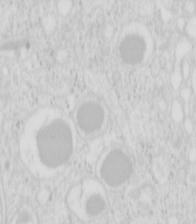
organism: Mouse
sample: Pancreas